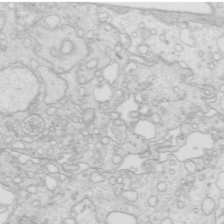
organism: Mouse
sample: Multiciliated cells